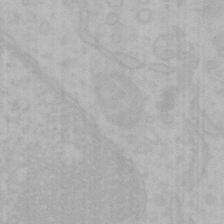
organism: Mouse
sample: Choroid plexus